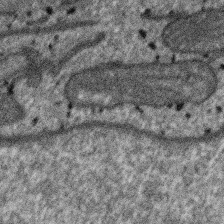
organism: Human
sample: Lung epithelial cells infected with SARS-CoV-2